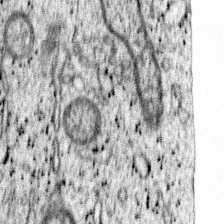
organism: Human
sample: HeLa cells